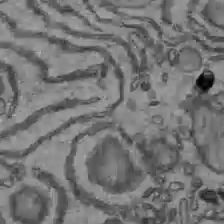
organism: C57BL Mouse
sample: Liver